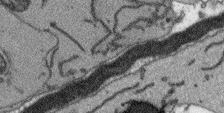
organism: Arabidopsis thaliana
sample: Root tip